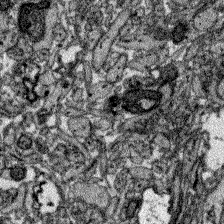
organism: Zebrafish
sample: Larval olfactory bulb